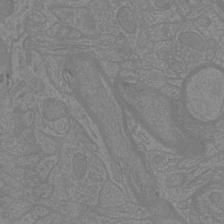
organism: Mouse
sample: Cortical neurons